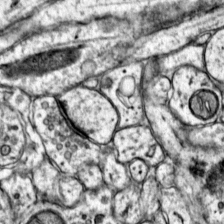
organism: Mouse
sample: Primary visual cortex